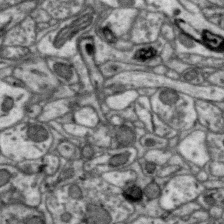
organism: Zebra finch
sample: Brain